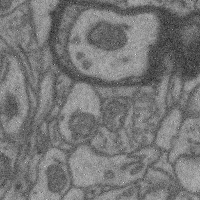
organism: Mouse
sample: Cerebral cortex